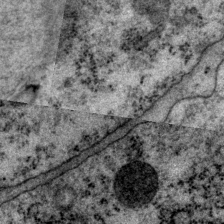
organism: P. pacificus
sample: Pharynx